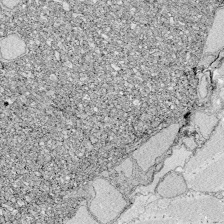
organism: Zebrafish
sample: Whole-Brain